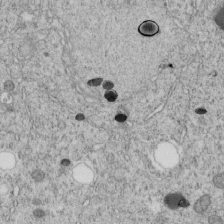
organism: C. elegans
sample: C. elegans embryo early stage